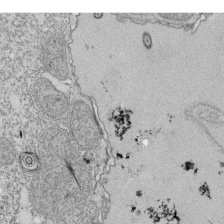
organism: Tetrahymena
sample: Cilia in tetrahymena